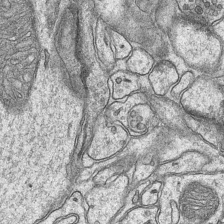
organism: Mouse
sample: CA1 Hippocampus